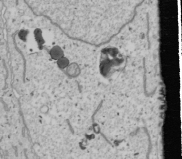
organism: Human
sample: Mitochondria in U2OS cells